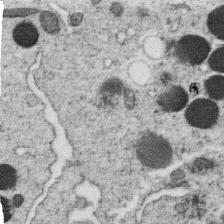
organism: C. elegans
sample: C. elegans oocyte; sperm cells